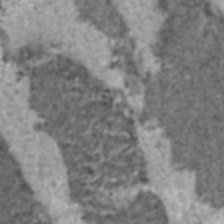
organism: C57BL Mouse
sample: Heart